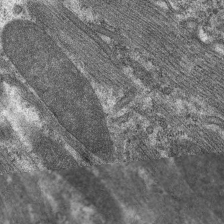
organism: C. elegans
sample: Pharynx